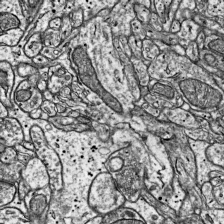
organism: Mouse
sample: Visual Cortex